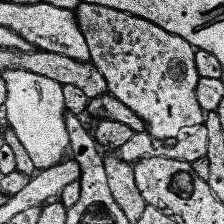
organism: Human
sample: Temporal Lobe